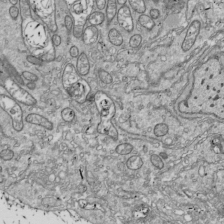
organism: Drosophila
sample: Cell division; meiosis; drosophila spermatocytes